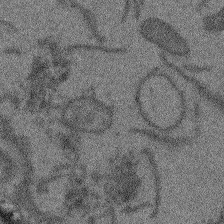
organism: Arabidopsis thaliana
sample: Root tip